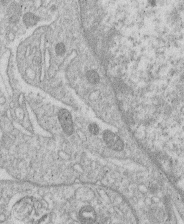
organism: Human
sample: Macrophage cells